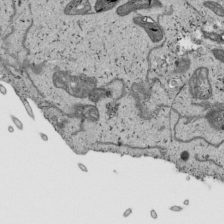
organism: Human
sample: Mitochondria in HCT116 cells